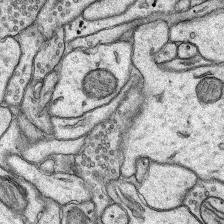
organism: Rat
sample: Hippocampus